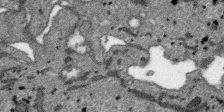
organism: Human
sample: Lung epithelial cells, uninfected (mock) control